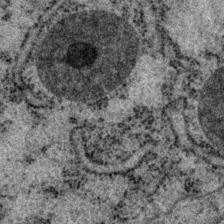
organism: P. pacificus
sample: Pharynx